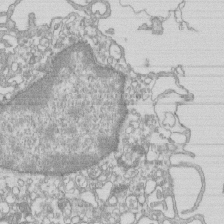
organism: Mouse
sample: Macrophages